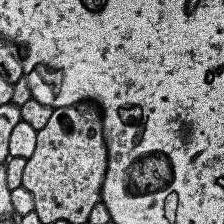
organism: Human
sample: Temporal Lobe